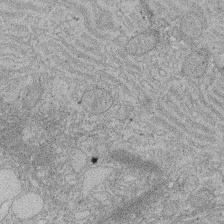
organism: Rat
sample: Salivary granule